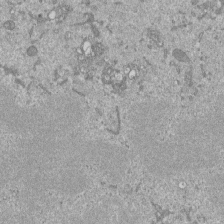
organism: Mouse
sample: ED-1 cell nuclei; centrioles